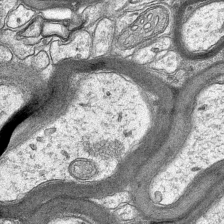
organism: Mouse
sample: CA1 Hippocampus